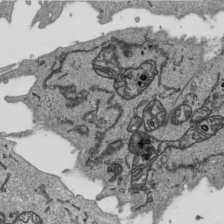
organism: Human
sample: Mitochondria in HCT116 cells